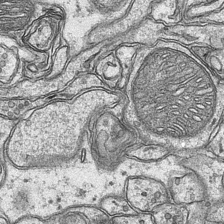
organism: Mouse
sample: CA1 Hippocampus